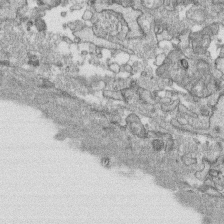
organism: Human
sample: CRL-1474